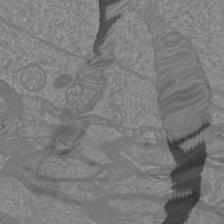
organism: Mouse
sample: Cortical neurons